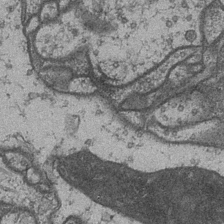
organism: Drosophila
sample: Optic medulla